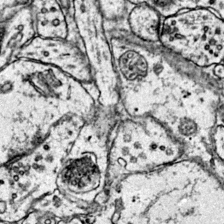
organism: Mouse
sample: Primary visual cortex